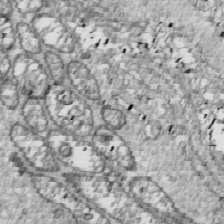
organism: Drosophila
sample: Cell division; meiosis; drosophila spermatocytes